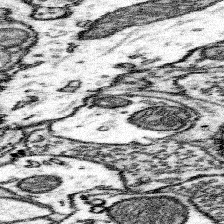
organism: Mouse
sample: Somatosensory cortex neuropil